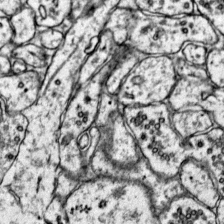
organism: Mouse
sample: Primary visual cortex